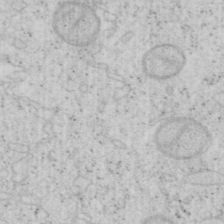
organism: Human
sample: HeLa cells